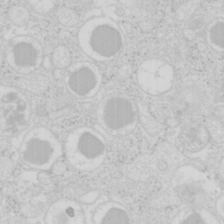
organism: Mouse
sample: Pancreas